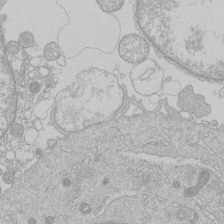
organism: Human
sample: Macrophage cells